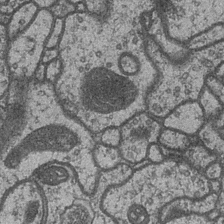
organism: Drosophila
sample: Optic medulla